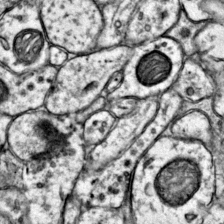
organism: Mouse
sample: Primary visual cortex